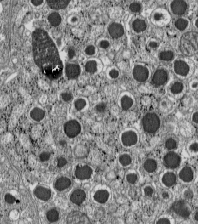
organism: C57BL Mouse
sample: Pancreatic islet